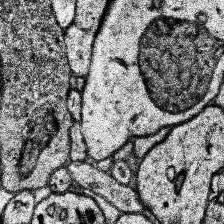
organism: Human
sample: Temporal Lobe